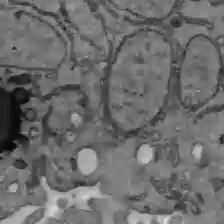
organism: C57BL Mouse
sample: Liver